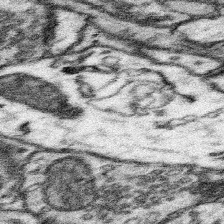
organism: Mouse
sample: Somatosensory cortex neuropil